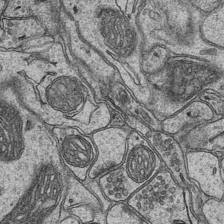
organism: Mouse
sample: CA1 Hippocampus